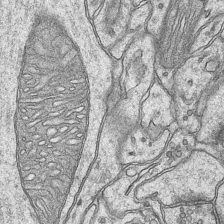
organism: Mouse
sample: CA1 Hippocampus